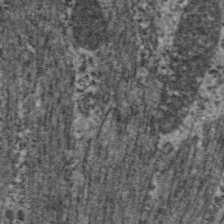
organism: C. elegans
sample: Pharynx